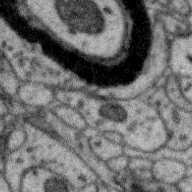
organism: Zebra finch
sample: Brain